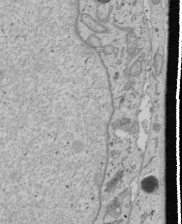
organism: Human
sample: Mitochondria in U2OS cells